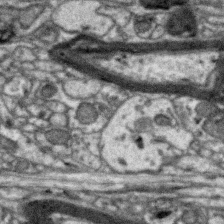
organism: Zebra finch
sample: Brain